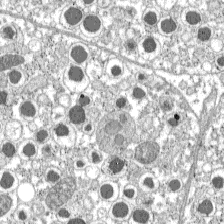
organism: C57BL Mouse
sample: Pancreatic islet